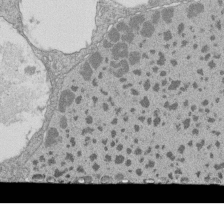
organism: Tetrahymena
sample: Cilia in tetrahymena